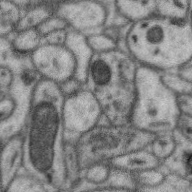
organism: Zebra finch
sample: Brain